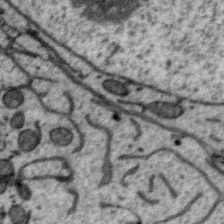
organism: Zebra finch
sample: Brain